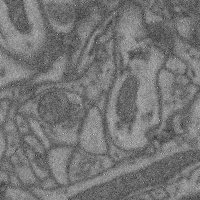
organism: Mouse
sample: Cerebral cortex